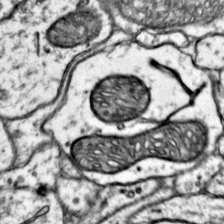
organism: Mouse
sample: Primary visual cortex